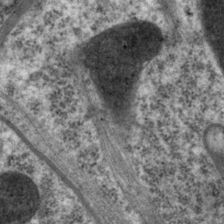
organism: P. pacificus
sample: Pharynx